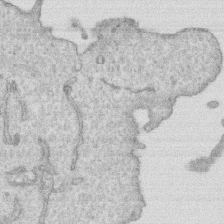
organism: Human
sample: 1205lu cells